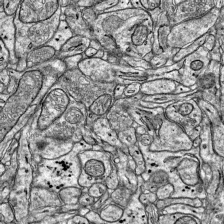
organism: Mouse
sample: Visual Cortex